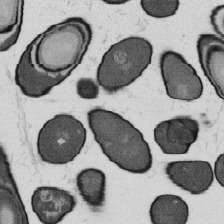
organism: B. subtilis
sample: Bacterial spore